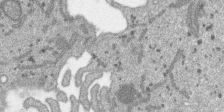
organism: Human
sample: Lung epithelial cells infected with SARS-CoV-2